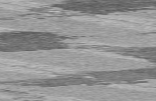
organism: C57BL Mouse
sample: Heart